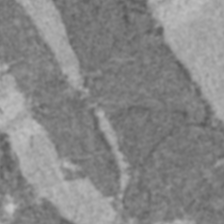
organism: C57BL Mouse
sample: Heart